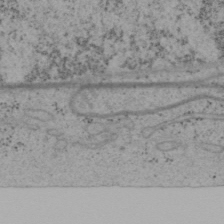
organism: Human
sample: HeLa cells